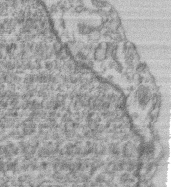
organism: Mouse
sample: T cell stromal cell synapse